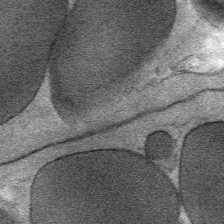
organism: Mouse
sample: Mouse Salivary gland